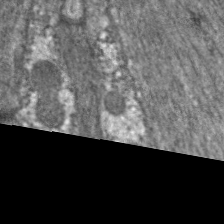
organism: C. elegans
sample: Pharynx